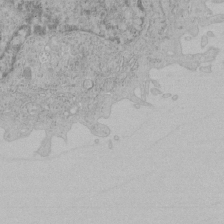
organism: Human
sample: Mitochondria in HCT116 cells